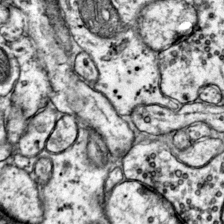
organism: Mouse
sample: Primary visual cortex